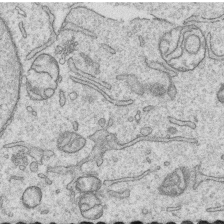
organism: Human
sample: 1205lu cells